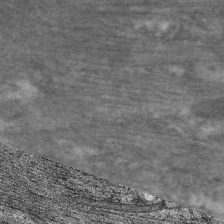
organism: C. elegans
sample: Pharynx